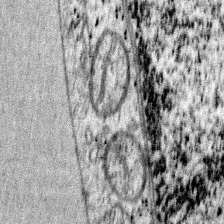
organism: Human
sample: HeLa cells